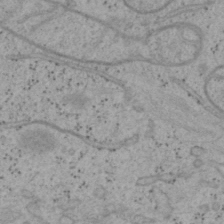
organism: Human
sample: HeLa cells